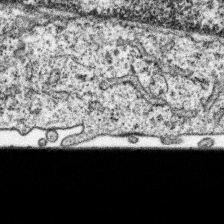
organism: Human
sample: HeLa cells